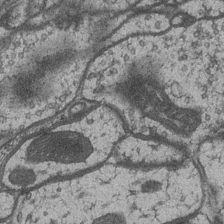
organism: Drosophila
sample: Optic medulla